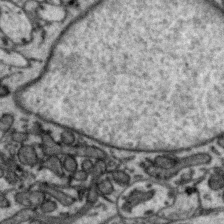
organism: Zebra finch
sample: Brain